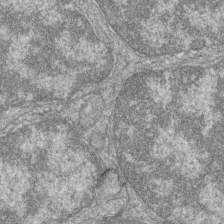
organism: Zebrafish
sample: Cilia; retinal pigment epithelium